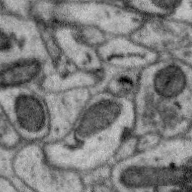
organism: Zebra finch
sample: Brain